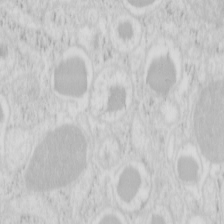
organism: Mouse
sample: Pancreas